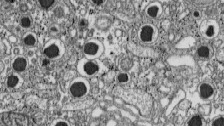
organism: C57BL Mouse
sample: Pancreatic islet